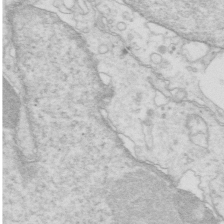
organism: Mouse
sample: Multiciliated cells